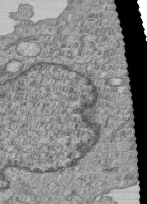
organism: Human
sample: MDA-MB-231 cells